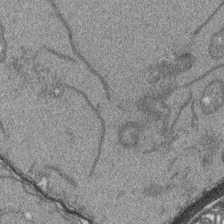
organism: Arabidopsis thaliana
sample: Root tip